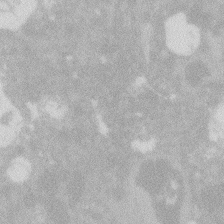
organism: Zebrafish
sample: Macrophage